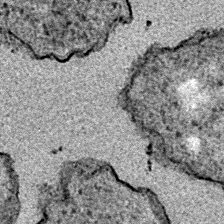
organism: E. coli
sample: E. Coli Bacteria